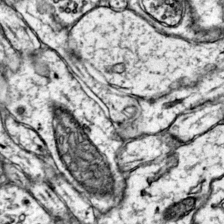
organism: Mouse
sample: Primary visual cortex